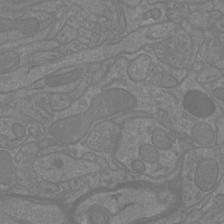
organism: Mouse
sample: Cortical neurons